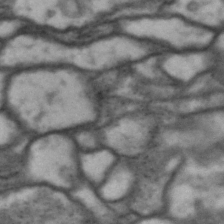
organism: Drosophila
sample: Brain